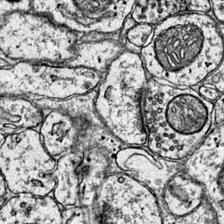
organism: Mouse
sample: Primary visual cortex